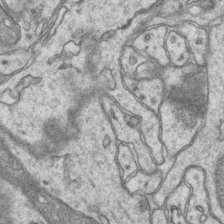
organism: Mouse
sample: CA1 Hippocampus